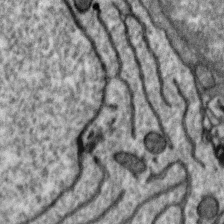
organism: Zebra finch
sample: Brain